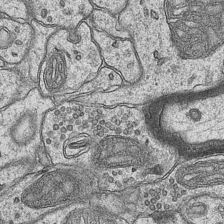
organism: Mouse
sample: CA1 Hippocampus